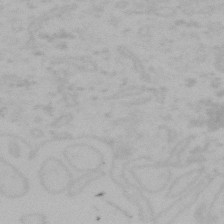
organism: Mouse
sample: Choroid plexus